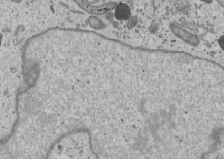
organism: Human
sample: Mitochondria in U2OS cells